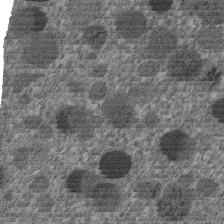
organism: C. elegans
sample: C. elegans embryo early stage